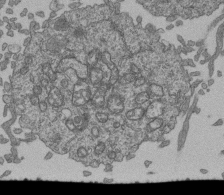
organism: Human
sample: Retinal organoid Rod and Cone cells